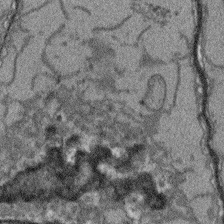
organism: Arabidopsis thaliana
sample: Root tip